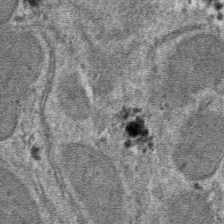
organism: Mouse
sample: Mouse hepatocytes